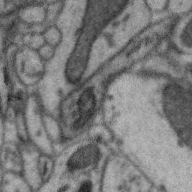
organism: Zebra finch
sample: Brain